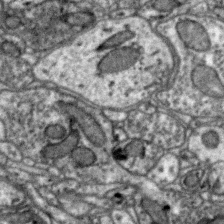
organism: Zebra finch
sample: Brain